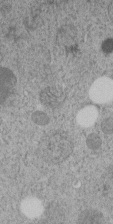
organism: C. elegans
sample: C. elegans embryo early stage